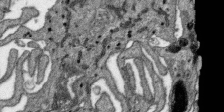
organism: Human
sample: Lung epithelial cells, uninfected (mock) control